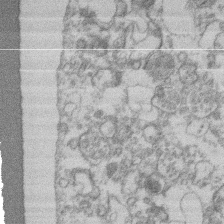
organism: Mouse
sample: T cell stromal cell synapse